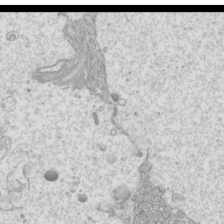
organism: Mouse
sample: Cilia; mouse epididymis